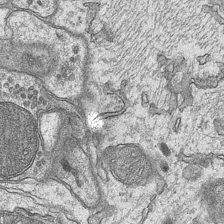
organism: Mouse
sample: CA1 Hippocampus